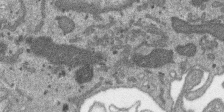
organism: Human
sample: Lung epithelial cells infected with SARS-CoV-2